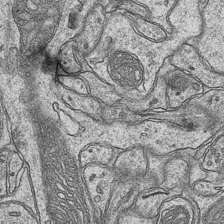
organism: Mouse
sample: CA1 Hippocampus